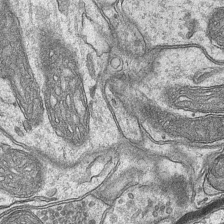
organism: Mouse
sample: CA1 Hippocampus